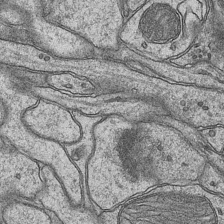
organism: Mouse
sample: CA1 Hippocampus